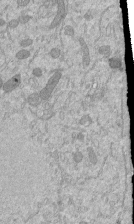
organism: Mouse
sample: ED-1 cell nuclei; centrioles